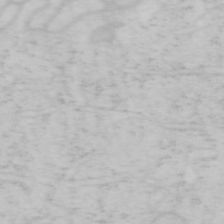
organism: Mouse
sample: OT-I killer T cells with ID8 ovarian cancer cells